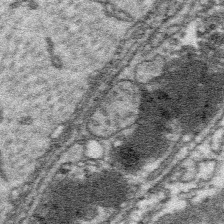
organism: Platynereis dumerilii